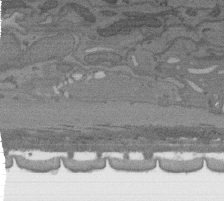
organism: C. elegans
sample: AFD neurons C. elegans